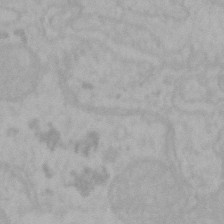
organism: Mouse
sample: Choroid plexus